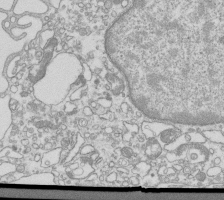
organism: Mouse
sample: Macrophages